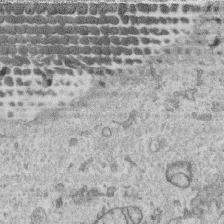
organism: Human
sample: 1205lu cells